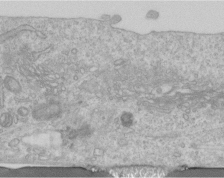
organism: Human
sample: Centriole in RPE cells